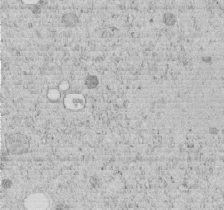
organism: C. elegans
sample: C. elegans embryo early stage